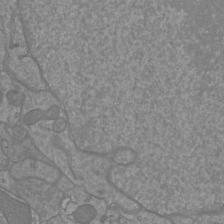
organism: Mouse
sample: Cortical neurons